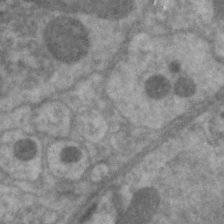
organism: C. elegans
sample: Pharynx